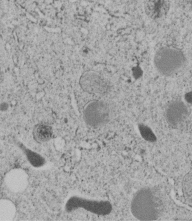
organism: C. elegans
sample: C. elegans embryo early stage